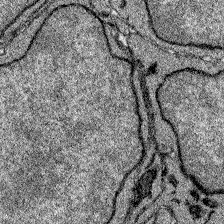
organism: Zebrafish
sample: Larval olfactory bulb